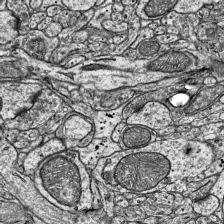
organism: Mouse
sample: Visual Cortex